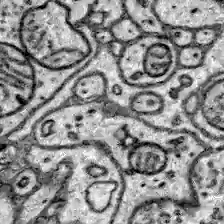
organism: Zebrafish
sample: Brain